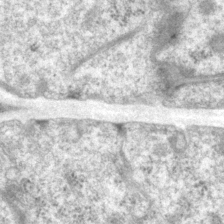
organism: P. pacificus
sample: Pharynx